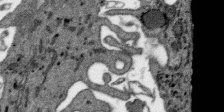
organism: Human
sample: Lung epithelial cells, uninfected (mock) control